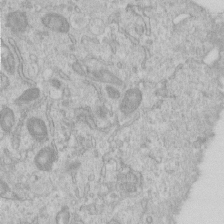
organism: Human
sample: Centriole in RPE cells